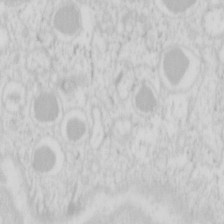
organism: Mouse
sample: Pancreas